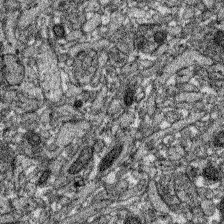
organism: Zebrafish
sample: Larval olfactory bulb